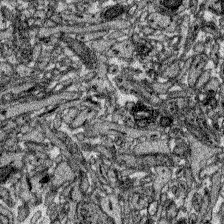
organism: Zebrafish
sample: Larval olfactory bulb